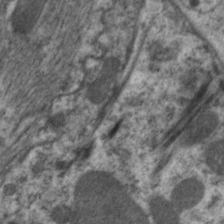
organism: C. elegans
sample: Pharynx